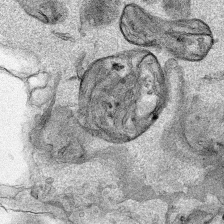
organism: Human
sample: Mitochondria in HCT116 cells